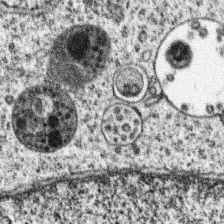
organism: Human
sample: HeLa cells